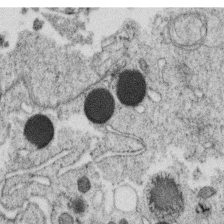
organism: C. elegans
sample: C. elegans oocyte; sperm cells